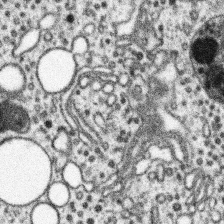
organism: Human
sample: HeLa cells